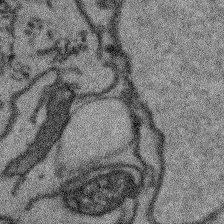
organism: Arabidopsis thaliana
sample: Root tip